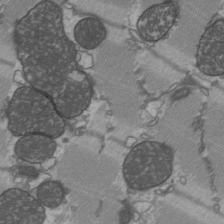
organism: C57BL Mouse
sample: Heart